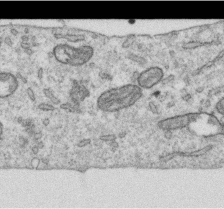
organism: Human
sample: Centriole in RPE cells